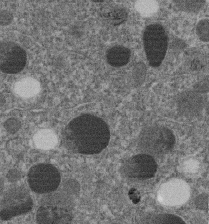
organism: C. elegans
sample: C. elegans embryo early stage